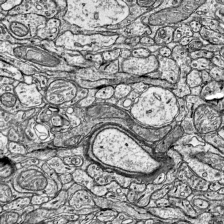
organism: Mouse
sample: Visual Cortex